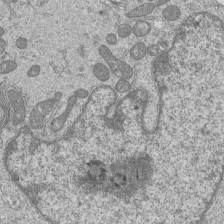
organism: Human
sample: MDA-MB-231 cells